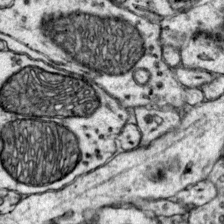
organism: Mouse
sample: Primary visual cortex